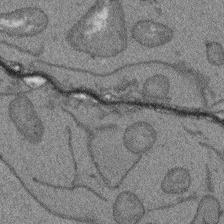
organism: Arabidopsis thaliana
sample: Root tip